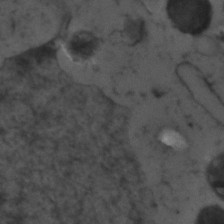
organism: Zebrafish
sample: Zebrafish embryo